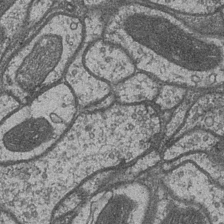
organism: Drosophila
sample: Optic medulla